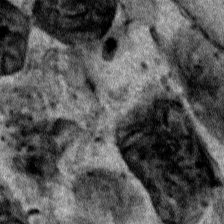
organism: Human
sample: Mitochondria in HCT116 cells